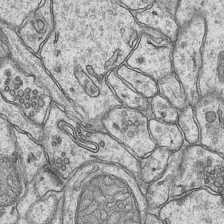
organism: Mouse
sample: CA1 Hippocampus